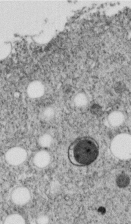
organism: C. elegans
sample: C. elegans embryo early stage